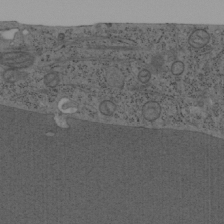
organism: Human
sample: HeLa cells